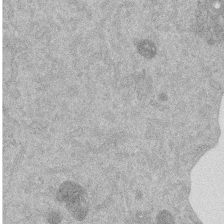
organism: Mouse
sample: Dividing mouse embryo 1 cell stage